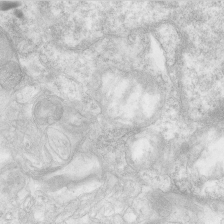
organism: Human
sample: Neocortex